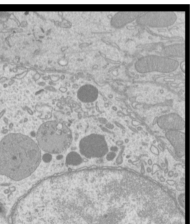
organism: Mouse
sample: Cilia; mouse epididymis